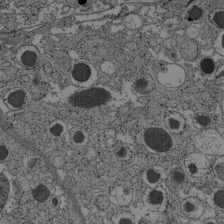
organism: C57BL Mouse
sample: Pancreatic islet